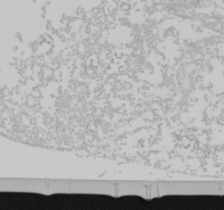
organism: Mouse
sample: Cancer cell death in ED-1 cells